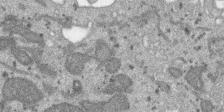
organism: Human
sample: Lung epithelial cells infected with SARS-CoV-2